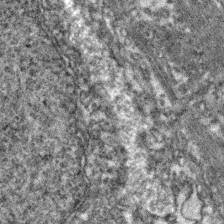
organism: Zebrafish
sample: Zebrafish embryo